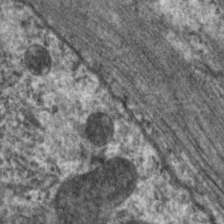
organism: C. elegans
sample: Pharynx